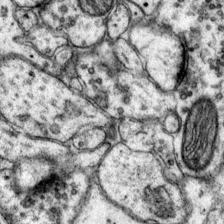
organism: Mouse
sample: Primary visual cortex